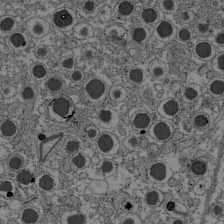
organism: C57BL Mouse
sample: Pancreatic islet